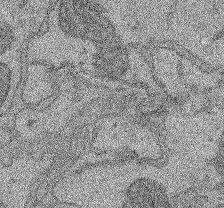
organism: Human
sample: HeLa cells